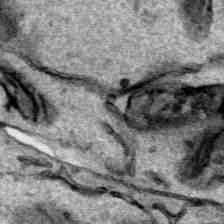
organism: Human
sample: Mitochondria in HCT116 cells